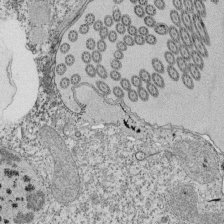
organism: Tetrahymena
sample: Cilia in tetrahymena